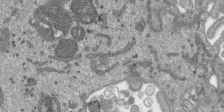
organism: Human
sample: Lung epithelial cells infected with SARS-CoV-2